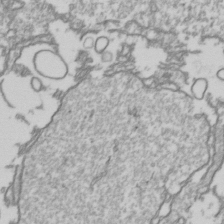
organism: Drosophila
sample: Cell division; meiosis; drosophila spermatocytes